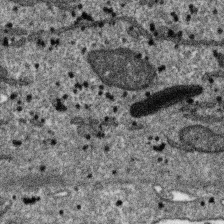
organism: Human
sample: Lung epithelial cells infected with SARS-CoV-2